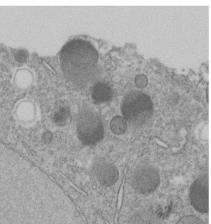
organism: C. elegans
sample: C. elegans embryo early stage